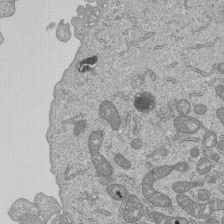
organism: Human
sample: MDA-MB-231 cells